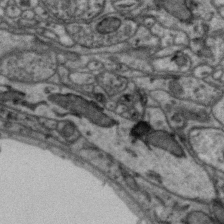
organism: Zebra finch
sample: Brain